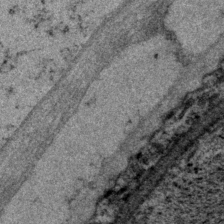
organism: P. pacificus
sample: Pharynx